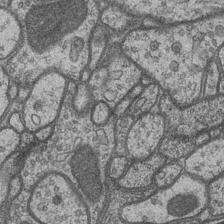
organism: Drosophila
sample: Optic medulla